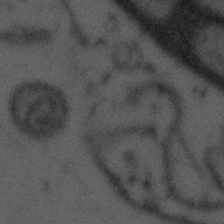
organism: Tuwongella immobilis